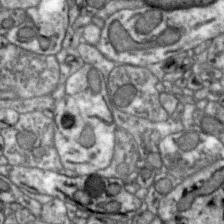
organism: Zebra finch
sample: Brain